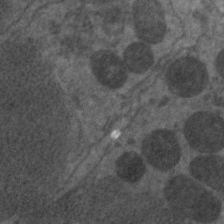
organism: C. elegans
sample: Pharynx